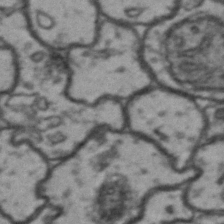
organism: Drosophila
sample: Brain